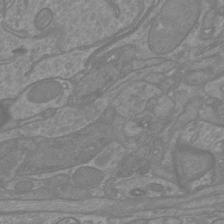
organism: Mouse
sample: Cortical neurons